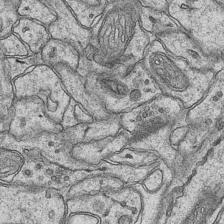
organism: Mouse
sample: CA1 Hippocampus